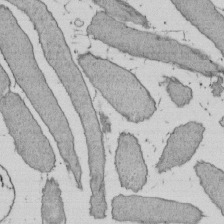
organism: E. coli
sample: Bacterial nucleoid